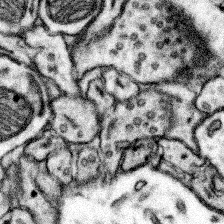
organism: Mouse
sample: Somatosensory cortex neuropil